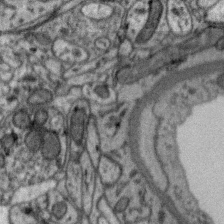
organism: Zebra finch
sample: Brain